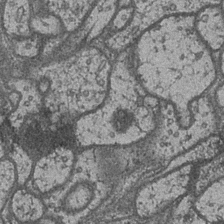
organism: Drosophila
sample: Optic medulla